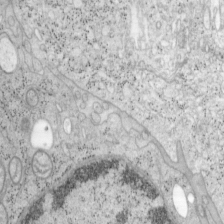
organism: Mouse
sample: OT-I killer T cells with ID8 ovarian cancer cells